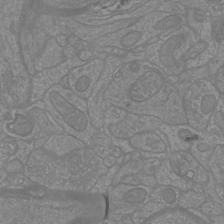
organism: Mouse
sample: Cortical neurons